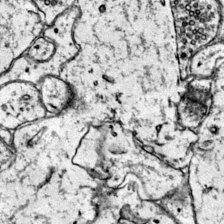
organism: Mouse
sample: Primary visual cortex